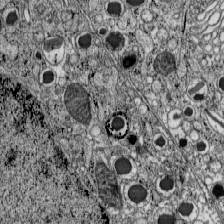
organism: C57BL Mouse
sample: Pancreatic islet